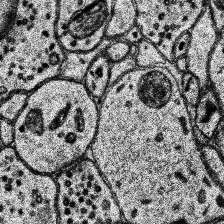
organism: Human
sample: Temporal Lobe